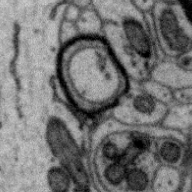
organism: Zebra finch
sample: Brain